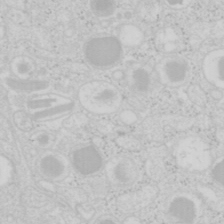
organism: Mouse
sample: Pancreas